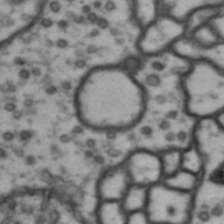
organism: Drosophila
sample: Brain